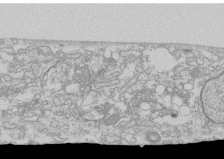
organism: Human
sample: CRL-1474